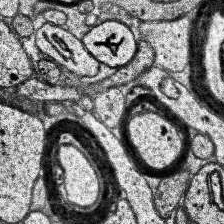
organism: Human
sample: Temporal Lobe